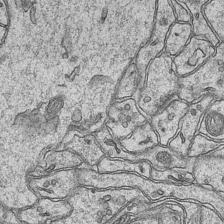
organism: Mouse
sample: CA1 Hippocampus